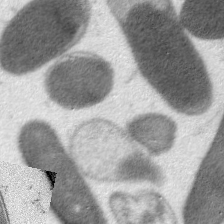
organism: C. elegans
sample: Pharynx